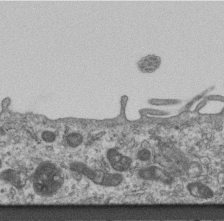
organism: Mouse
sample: Centriole in ependymal cells